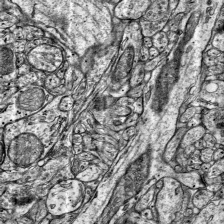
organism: Mouse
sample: Visual Cortex